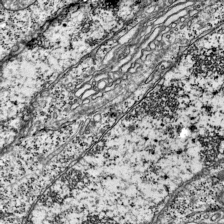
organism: Mouse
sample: Visual Cortex